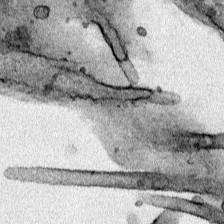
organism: Human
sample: Mitochondria in HCT116 cells